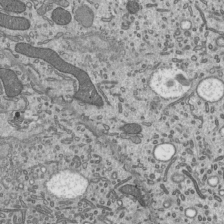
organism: Mouse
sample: Mouse epididymis efferent ductule cilia